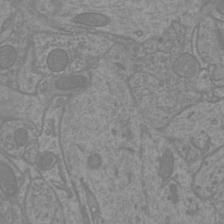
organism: Mouse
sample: Cortical neurons